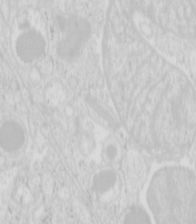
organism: Mouse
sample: Pancreas